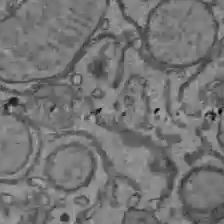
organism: C57BL Mouse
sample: Liver